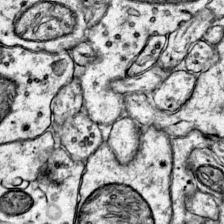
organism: Mouse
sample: Primary visual cortex